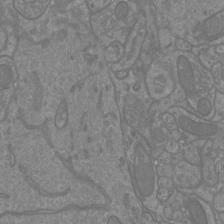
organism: Mouse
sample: Cortical neurons